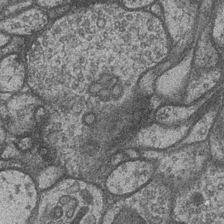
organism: Drosophila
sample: Optic medulla